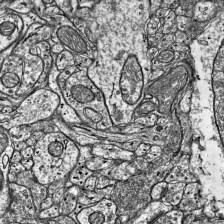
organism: Mouse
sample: Visual Cortex